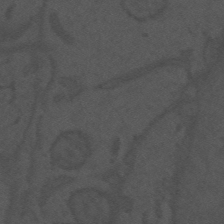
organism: Mouse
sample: Suprachiasmatic nucleus